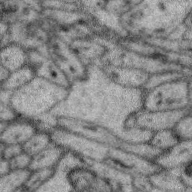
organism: Zebra finch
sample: Brain